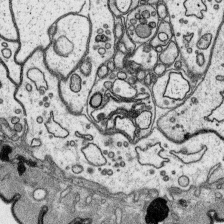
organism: Platynereis dumerilii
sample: Parapodia